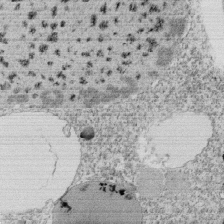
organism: Tetrahymena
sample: Cilia in tetrahymena